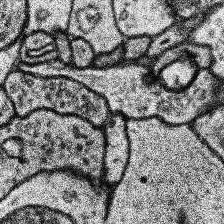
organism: Human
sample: Temporal Lobe